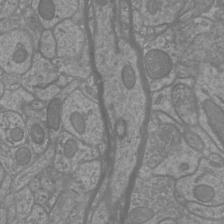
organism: Mouse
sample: Cortical neurons